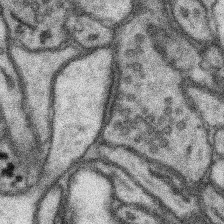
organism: Mouse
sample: Somatosensory cortex neuropil